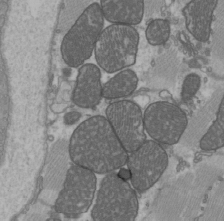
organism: C57BL Mouse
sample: Heart